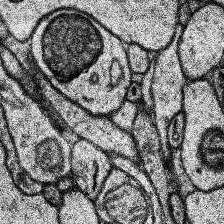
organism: Human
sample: Temporal Lobe